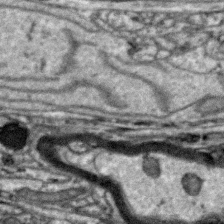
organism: Zebra finch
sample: Brain